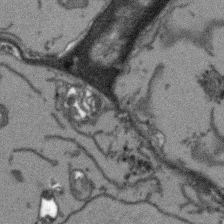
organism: Arabidopsis thaliana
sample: Root tip